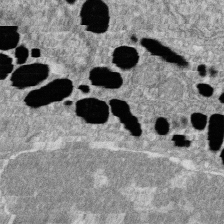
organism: Zebrafish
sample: Cilia; retinal pigment epithelium